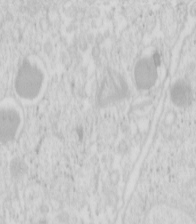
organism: Mouse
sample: Pancreas